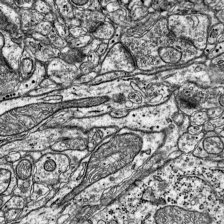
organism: Mouse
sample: Visual Cortex